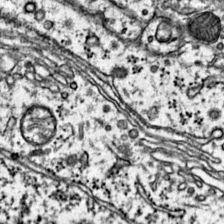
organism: Mouse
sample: Primary visual cortex